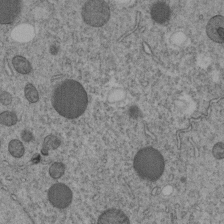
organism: C. elegans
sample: C. elegans embryo early stage